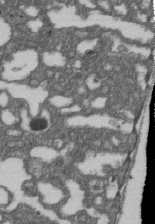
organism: Drosophila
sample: Nephrocyte